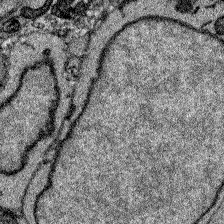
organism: Zebrafish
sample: Larval olfactory bulb